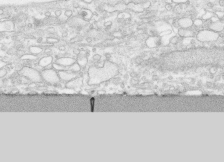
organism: Human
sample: CRL-1474